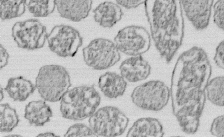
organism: E. coli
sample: Bacterial nucleoid